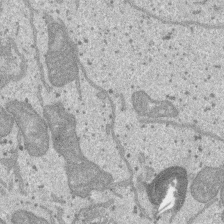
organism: Human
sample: Lung epithelial cells infected with SARS-CoV-2